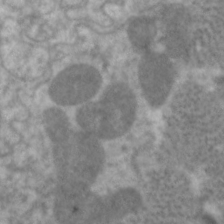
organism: C. elegans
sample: Pharynx